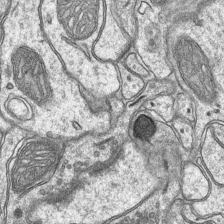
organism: Mouse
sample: CA1 Hippocampus